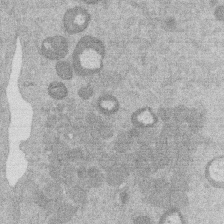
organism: Mouse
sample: Dividing mouse embryo 1 cell stage